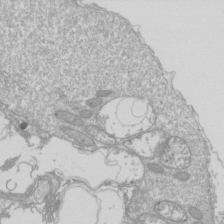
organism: Drosophila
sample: Cell division; meiosis; drosophila spermatocytes